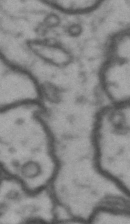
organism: Drosophila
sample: Brain